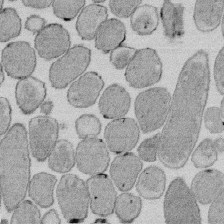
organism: E. coli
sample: Bacterial nucleoid